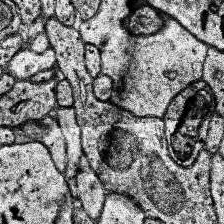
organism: Human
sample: Temporal Lobe